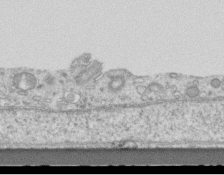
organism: Mouse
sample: Centriole in ependymal cells